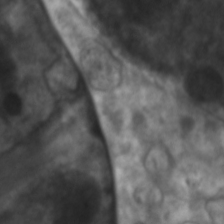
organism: C. elegans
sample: Pharynx